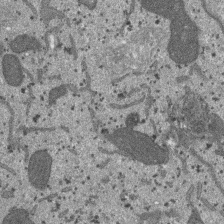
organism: Human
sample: Lung epithelial cells infected with SARS-CoV-2